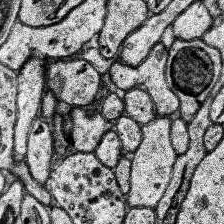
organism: Human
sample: Temporal Lobe